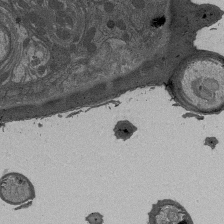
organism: Drosophila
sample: Antenna